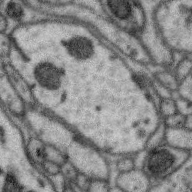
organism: Zebra finch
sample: Brain